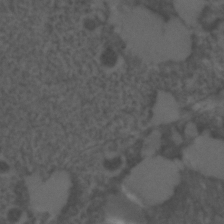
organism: C. elegans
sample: C. elegans embryo